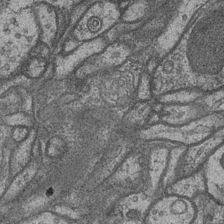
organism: Drosophila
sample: Optic medulla